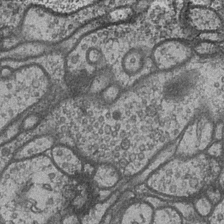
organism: Drosophila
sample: Optic medulla